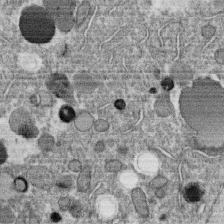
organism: C. elegans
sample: C. elegans oocyte; sperm cells